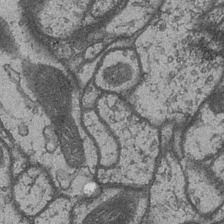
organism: Drosophila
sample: Optic medulla